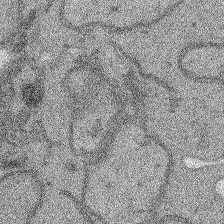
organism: Human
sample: HeLa cells